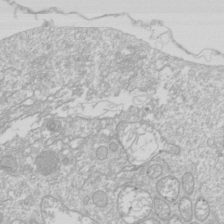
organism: Drosophila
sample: Cell division; meiosis; drosophila spermatocytes